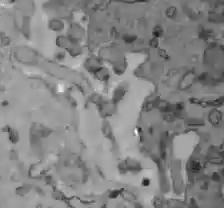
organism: C57BL Mouse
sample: Liver